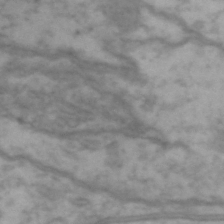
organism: Drosophila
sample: Brain